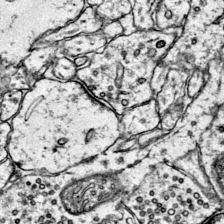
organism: Mouse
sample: Primary visual cortex